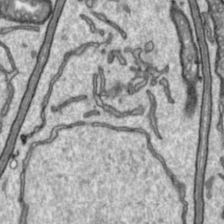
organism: Toxoplasma gondii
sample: Parasites in a vacuole inside a host cell